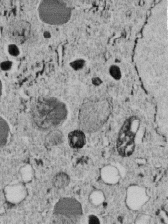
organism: C. elegans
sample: C. elegans embryo early stage